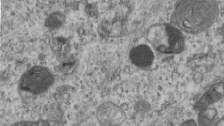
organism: Mouse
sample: Centriole in ependymal cells